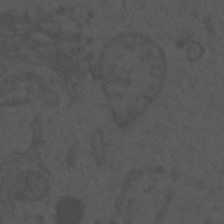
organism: Mouse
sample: Suprachiasmatic nucleus